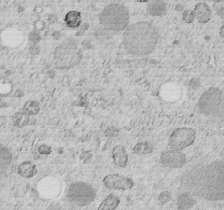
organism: C. elegans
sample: C. elegans embryo early stage